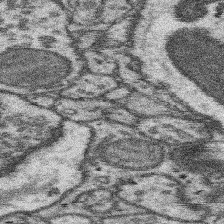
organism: Mouse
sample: Somatosensory cortex neuropil